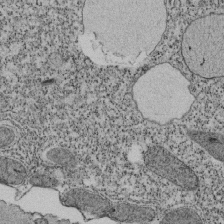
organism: Tetrahymena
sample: Cilia in tetrahymena